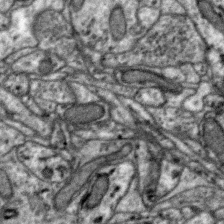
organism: Zebra finch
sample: Brain